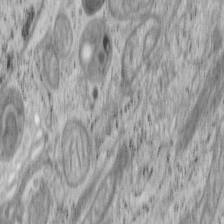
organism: Human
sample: HeLa cells